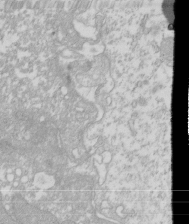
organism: Xenopus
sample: Cilia; centrioles in frog embryo cells